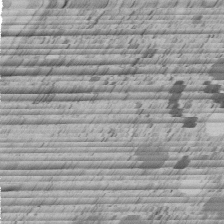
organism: C. elegans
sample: C. elegans embryo early stage